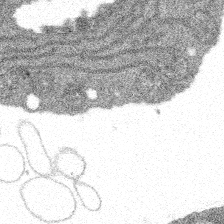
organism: Spongilla lacustris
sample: Multiple